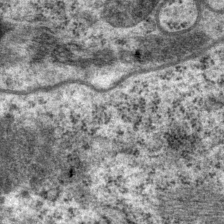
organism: P. pacificus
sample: Pharynx